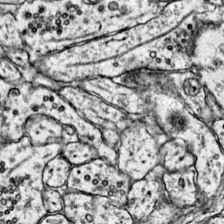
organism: Mouse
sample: Primary visual cortex